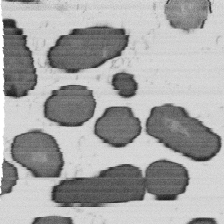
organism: B. subtilis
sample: Bacterial spore